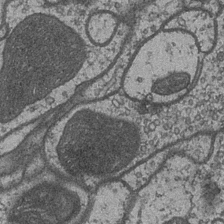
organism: Drosophila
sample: Optic medulla